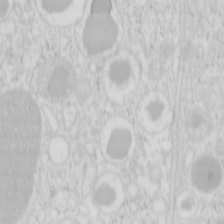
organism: Mouse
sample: Pancreas